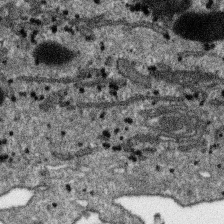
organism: Human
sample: Lung epithelial cells infected with SARS-CoV-2